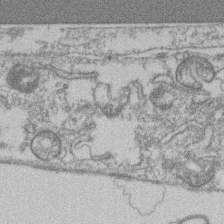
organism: Mouse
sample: T cell stromal cell synapse